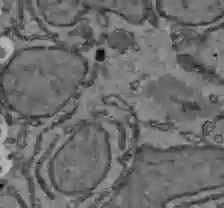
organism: C57BL Mouse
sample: Liver